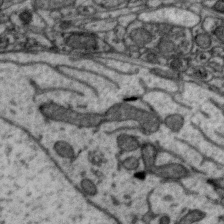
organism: Zebra finch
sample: Brain